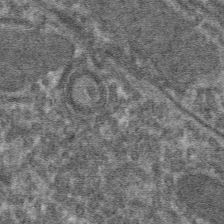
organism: Mouse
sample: Mouse hepatocytes